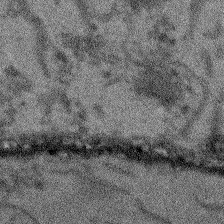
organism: Arabidopsis thaliana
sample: Root tip